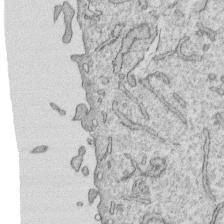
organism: Human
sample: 1205lu cells